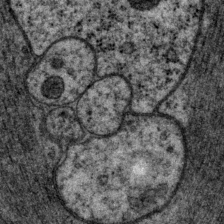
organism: P. pacificus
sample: Pharynx